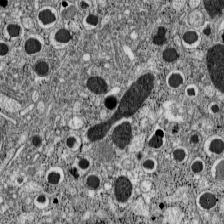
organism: C57BL Mouse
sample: Pancreatic islet